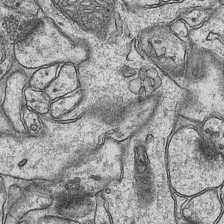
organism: Mouse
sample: CA1 Hippocampus